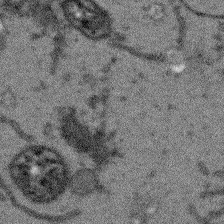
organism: Arabidopsis thaliana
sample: Root tip